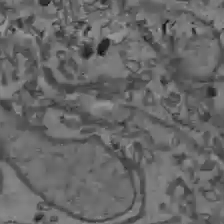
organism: C57BL Mouse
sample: Liver